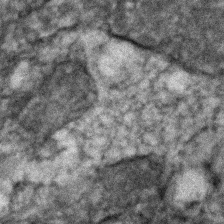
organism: C. elegans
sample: C. elegans embryo